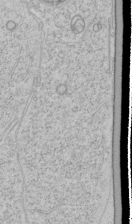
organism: Human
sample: Mitochondria in HCT116 cells